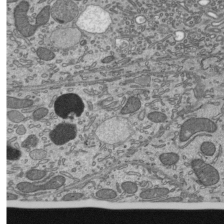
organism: Mouse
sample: Mouse epididymis efferent ductule cilia